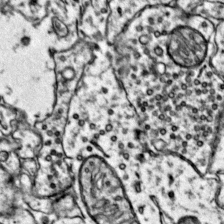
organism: Mouse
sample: Primary visual cortex